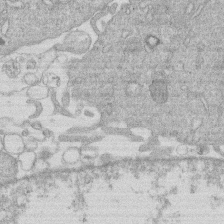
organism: Human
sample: Macrophage cells